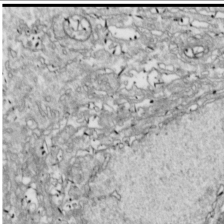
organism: Drosophila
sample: Cell division; meiosis; drosophila spermatocytes